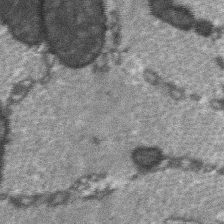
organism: C57BL Mouse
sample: Soleus